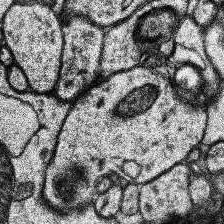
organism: Human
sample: Temporal Lobe